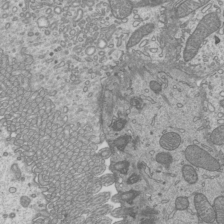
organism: Mouse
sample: Cilia; mouse epididymis